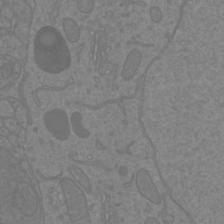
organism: Mouse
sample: Cortical neurons